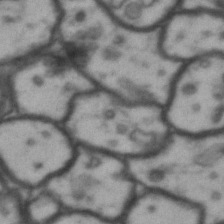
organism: Drosophila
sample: Brain